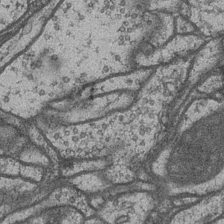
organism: Drosophila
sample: Optic medulla